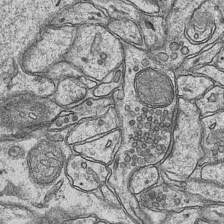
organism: Mouse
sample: CA1 Hippocampus